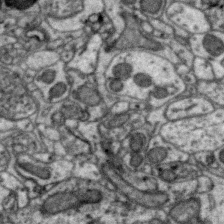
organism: Zebra finch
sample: Brain